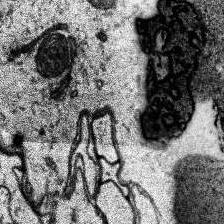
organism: Human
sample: Temporal Lobe